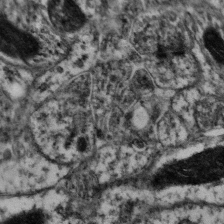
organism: Mouse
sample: Neocortex